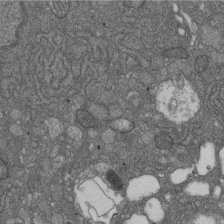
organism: Drosophila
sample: Nephrocyte